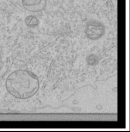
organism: Human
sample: Mitochondria in HCT116 cells